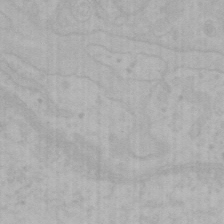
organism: Mouse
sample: Choroid plexus